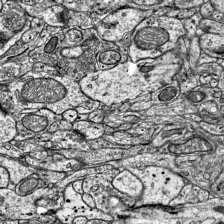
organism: Mouse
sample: Visual Cortex